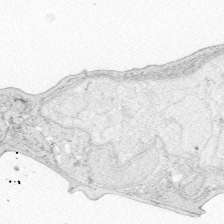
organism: Zebrafish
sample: Whole-Brain